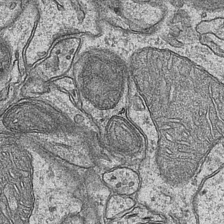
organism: Mouse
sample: CA1 Hippocampus